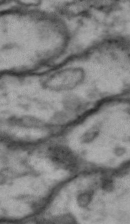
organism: Drosophila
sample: Brain